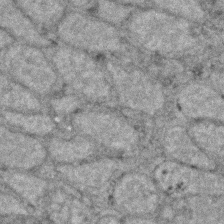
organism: Zebrafish